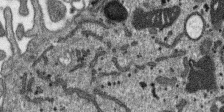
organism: Human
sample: Lung epithelial cells infected with SARS-CoV-2